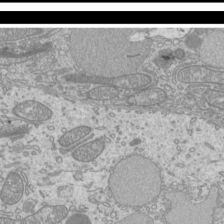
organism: Mouse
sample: Cilia; mouse epididymis